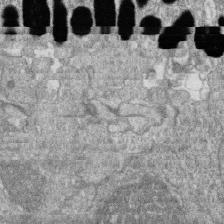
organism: Zebrafish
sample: Cilia; retinal pigment epithelium